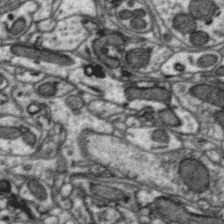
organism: Zebra finch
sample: Brain